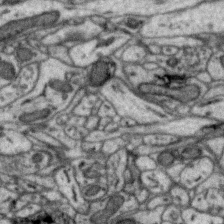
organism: Zebra finch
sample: Brain